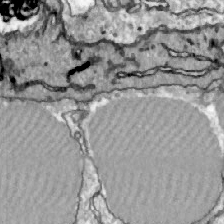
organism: Zebrafish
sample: Actinotrichia fibers